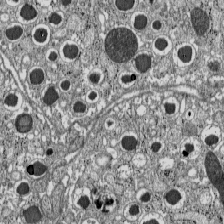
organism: C57BL Mouse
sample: Pancreatic islet